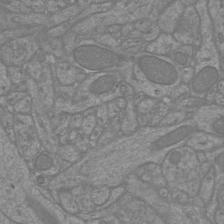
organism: Mouse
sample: Cortical neurons